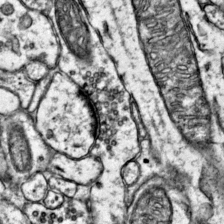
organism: Mouse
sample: Primary visual cortex